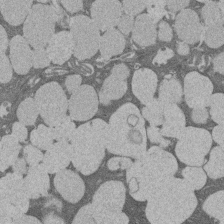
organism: Rat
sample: Salivary granule